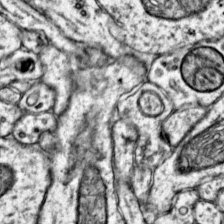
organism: Mouse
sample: Primary visual cortex